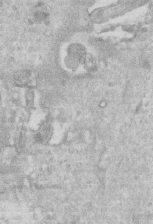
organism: Mouse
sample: Centriole in ependymal cells